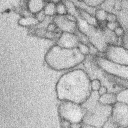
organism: Rabbit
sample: Retina